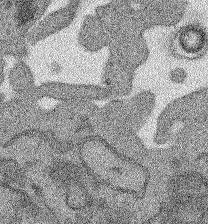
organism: Human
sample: HeLa cells